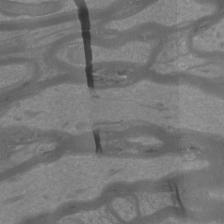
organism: Mouse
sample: Cortical neurons